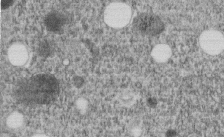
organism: C. elegans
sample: C. elegans embryo early stage